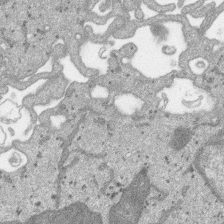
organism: Human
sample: Lung epithelial cells infected with SARS-CoV-2